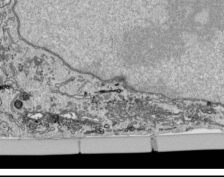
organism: Human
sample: Mitochondria in HCT116 cells